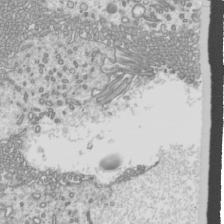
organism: Mouse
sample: Cilia; mouse epididymis